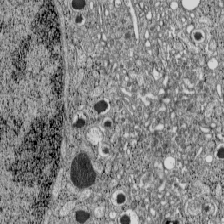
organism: C57BL Mouse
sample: Pancreatic islet